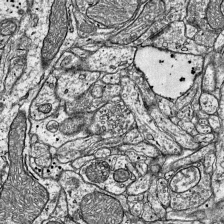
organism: Mouse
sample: Visual Cortex